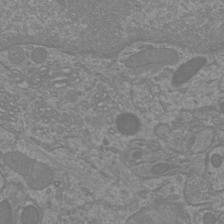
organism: Mouse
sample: Cortical neurons